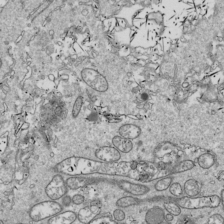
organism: Drosophila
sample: Cell division; meiosis; drosophila spermatocytes